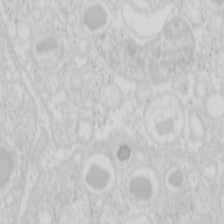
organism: Mouse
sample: Pancreas